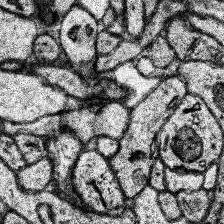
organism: Human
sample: Temporal Lobe